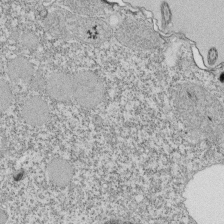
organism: Tetrahymena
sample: Cilia in tetrahymena